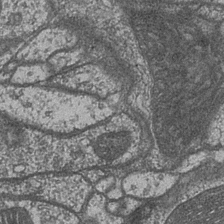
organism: Drosophila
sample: Optic medulla